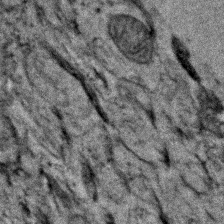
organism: Zebrafish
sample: Zebrafish embryo